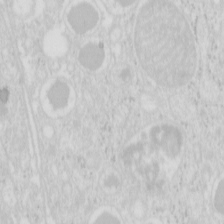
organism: Mouse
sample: Pancreas